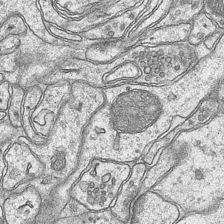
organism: Mouse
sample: CA1 Hippocampus